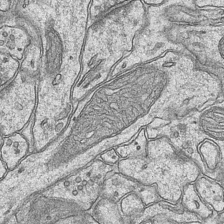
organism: Mouse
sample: CA1 Hippocampus